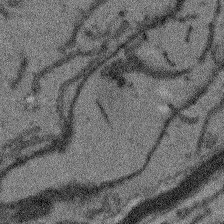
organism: Arabidopsis thaliana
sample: Root tip